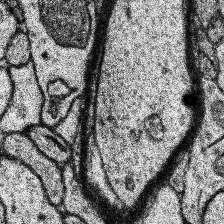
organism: Human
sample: Temporal Lobe